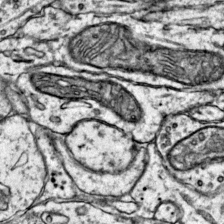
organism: Mouse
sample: Primary visual cortex